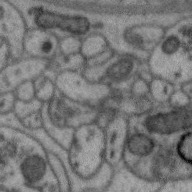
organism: Zebra finch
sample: Brain